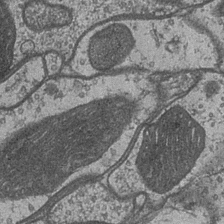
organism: Drosophila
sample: Optic medulla